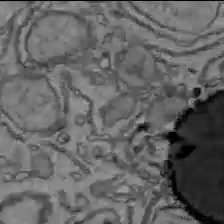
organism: C57BL Mouse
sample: Liver